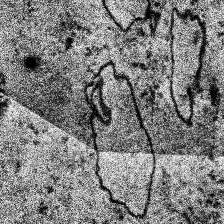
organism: Human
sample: Temporal Lobe